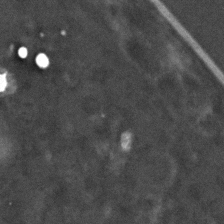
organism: C. elegans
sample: C. elegans embryo